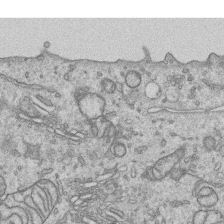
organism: Human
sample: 1205lu cells